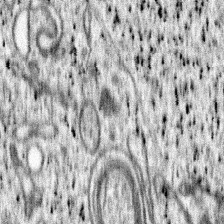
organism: Human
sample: HeLa cells